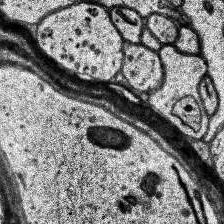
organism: Human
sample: Temporal Lobe